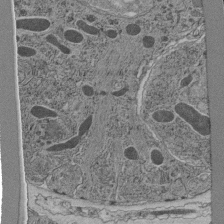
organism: C. elegans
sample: C. elegans pharynx